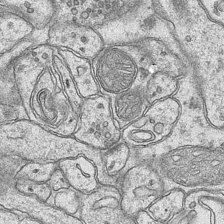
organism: Mouse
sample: CA1 Hippocampus